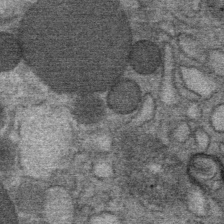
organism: Mouse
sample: Mouse Salivary gland